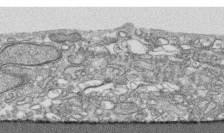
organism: Human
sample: CRL-1474